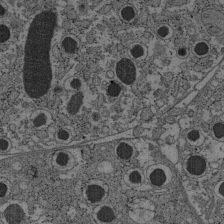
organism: C57BL Mouse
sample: Pancreatic islet